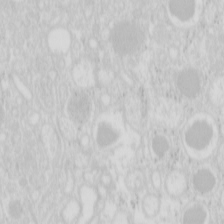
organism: Mouse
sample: Pancreas